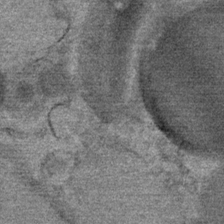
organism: Mouse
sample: Mouse Salivary gland